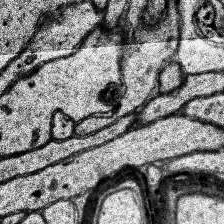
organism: Human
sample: Temporal Lobe